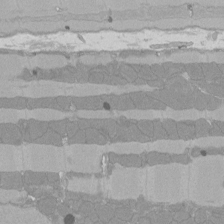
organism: Rat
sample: Left ventricle